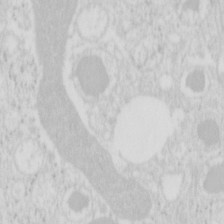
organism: Mouse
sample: Pancreas